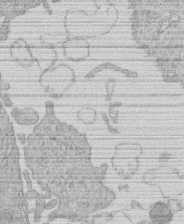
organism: Human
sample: Macrophage cells